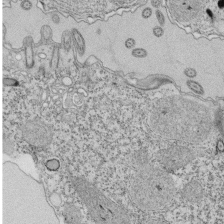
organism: Tetrahymena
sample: Cilia in tetrahymena